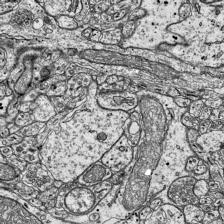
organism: Mouse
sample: Visual Cortex